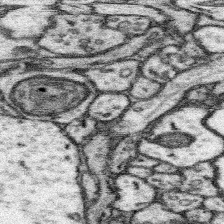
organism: Mouse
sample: Somatosensory cortex neuropil